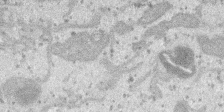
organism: Human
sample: Lung epithelial cells infected with SARS-CoV-2